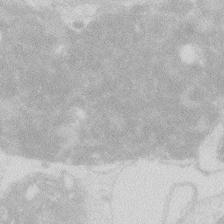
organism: Zebrafish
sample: Macrophage